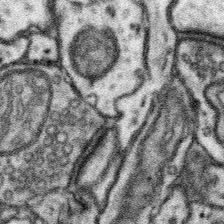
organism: Mouse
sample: Somatosensory cortex neuropil